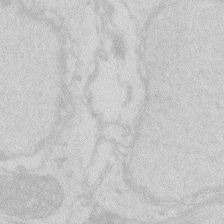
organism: Zebrafish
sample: Macrophage